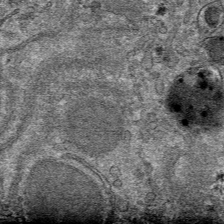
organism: Mouse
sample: Mouse hepatocytes